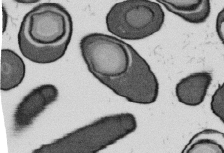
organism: B. subtilis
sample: Bacterial spore